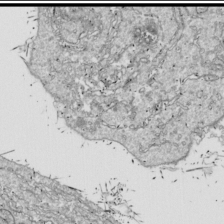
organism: Drosophila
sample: Cell division; meiosis; drosophila spermatocytes